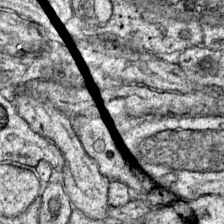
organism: Mouse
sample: Primary visual cortex